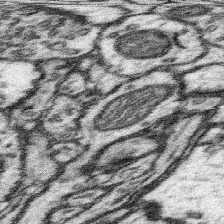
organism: Mouse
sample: Somatosensory cortex neuropil